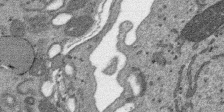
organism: Human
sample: Lung epithelial cells infected with SARS-CoV-2